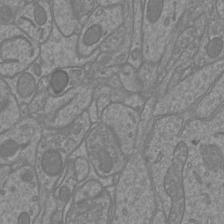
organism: Mouse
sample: Cortical neurons